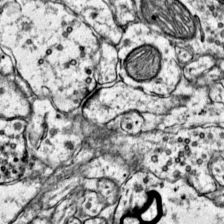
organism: Mouse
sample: Primary visual cortex